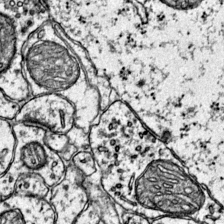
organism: Mouse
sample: Primary visual cortex